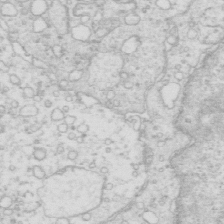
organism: Mouse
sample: Multiciliated cells